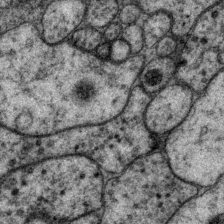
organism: P. pacificus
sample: Pharynx